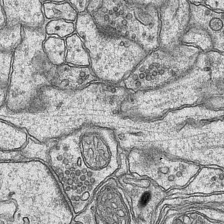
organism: Mouse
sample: CA1 Hippocampus